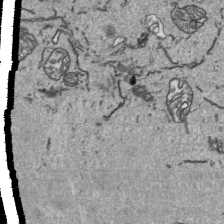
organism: Human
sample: Mitochondria in HCT116 cells